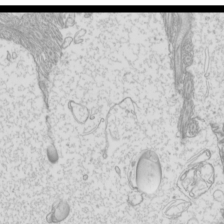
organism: Mouse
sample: Cilia; mouse epididymis